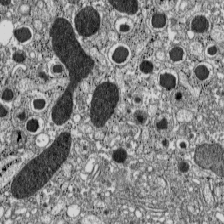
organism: C57BL Mouse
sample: Pancreatic islet